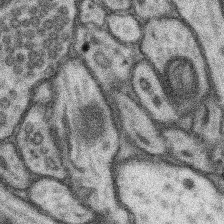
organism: Mouse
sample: Somatosensory cortex neuropil